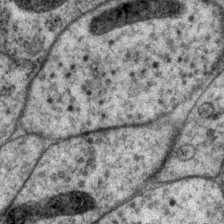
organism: P. pacificus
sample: Pharynx